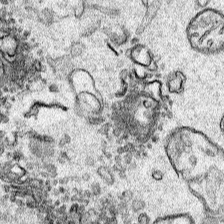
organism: Human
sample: Mitochondria in HCT116 cells